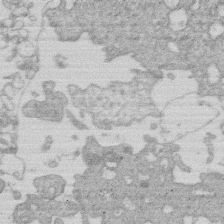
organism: Human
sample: Macrophage cells